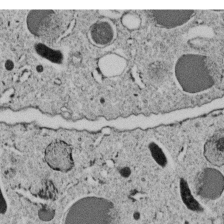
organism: C. elegans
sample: C. elegans embryo early stage